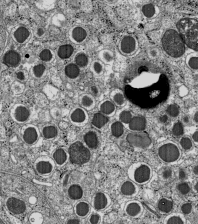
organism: C57BL Mouse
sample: Pancreatic islet